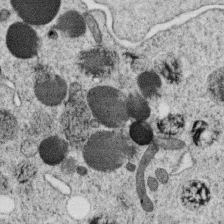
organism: C. elegans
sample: C. elegans oocyte; sperm cells